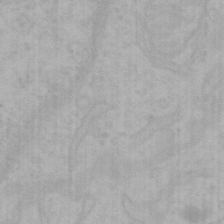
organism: Mouse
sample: Choroid plexus